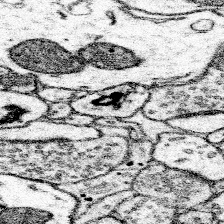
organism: Mouse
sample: Somatosensory cortex neuropil